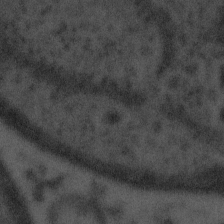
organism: Tuwongella immobilis